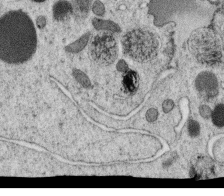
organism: C. elegans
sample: C. elegans oocyte; sperm cells